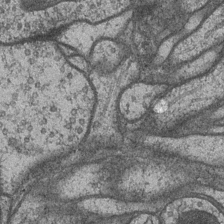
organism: Drosophila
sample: Optic medulla